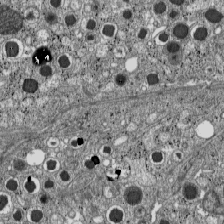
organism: C57BL Mouse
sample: Pancreatic islet